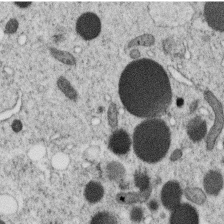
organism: C. elegans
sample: C. elegans oocyte; sperm cells